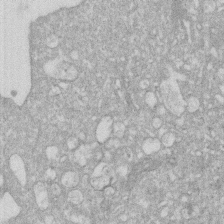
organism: Human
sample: HIV infected U937 cells